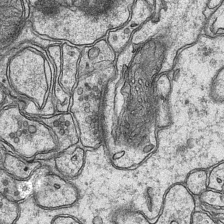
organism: Mouse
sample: CA1 Hippocampus